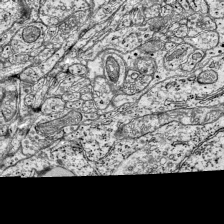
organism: Mouse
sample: Visual Cortex